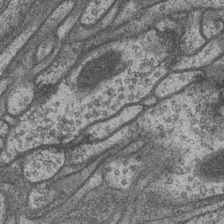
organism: Drosophila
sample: Optic medulla